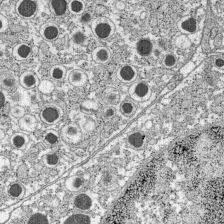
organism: C57BL Mouse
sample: Pancreatic islet